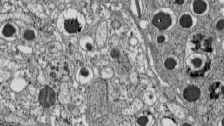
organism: C57BL Mouse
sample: Pancreatic islet